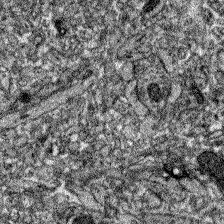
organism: Zebrafish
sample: Larval olfactory bulb